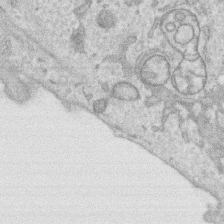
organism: Human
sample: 1205lu cells